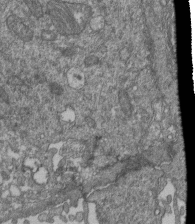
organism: Human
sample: Retinal organoid Rod and Cone cells